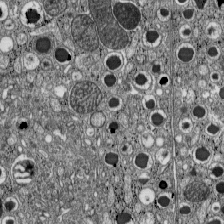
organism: C57BL Mouse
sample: Pancreatic islet